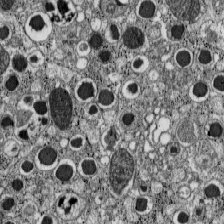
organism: C57BL Mouse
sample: Pancreatic islet